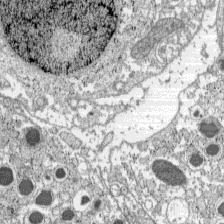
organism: C57BL Mouse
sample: Pancreatic islet